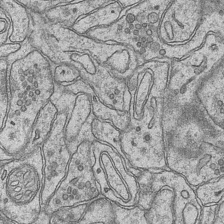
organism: Mouse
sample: CA1 Hippocampus